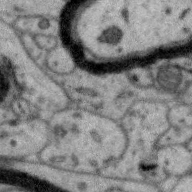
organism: Zebra finch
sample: Brain